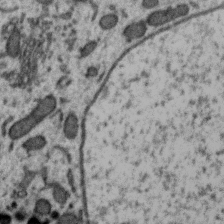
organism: Zebra finch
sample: Brain